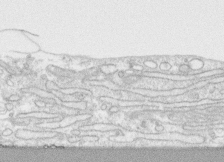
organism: Human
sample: CRL-1474